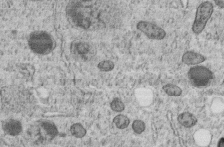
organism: C. elegans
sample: C. elegans embryo early stage